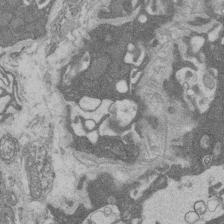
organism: Rat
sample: Salivary granule